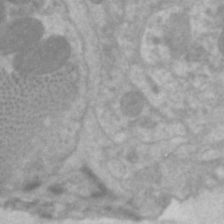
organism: C. elegans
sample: Pharynx